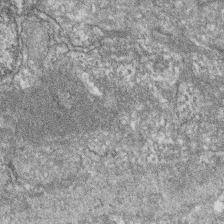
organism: Zebrafish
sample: Cilia; retinal pigment epithelium